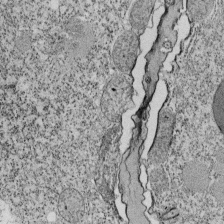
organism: Tetrahymena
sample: Cilia in tetrahymena